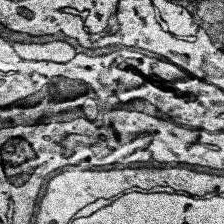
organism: Human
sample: Temporal Lobe